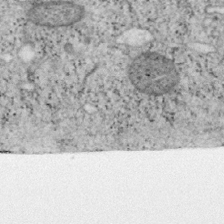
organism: Mouse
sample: OT-I killer T cells with ID8 ovarian cancer cells